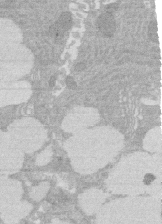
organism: Rat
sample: Salivary granule